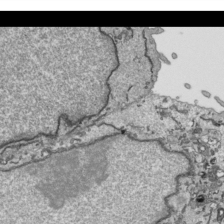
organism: Human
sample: Mitochondria in HCT116 cells